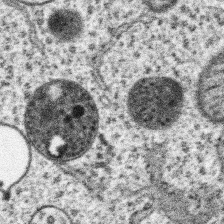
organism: Human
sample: HeLa cells